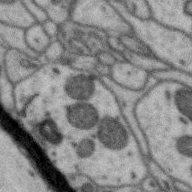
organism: Zebra finch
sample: Brain